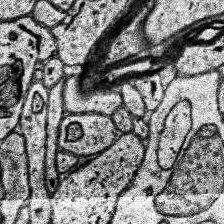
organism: Human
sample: Temporal Lobe